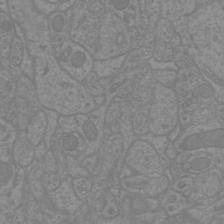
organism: Mouse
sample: Cortical neurons